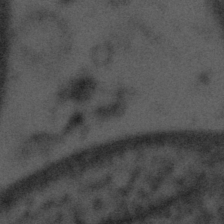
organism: Tuwongella immobilis